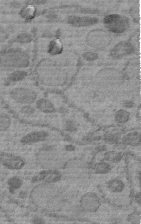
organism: C. elegans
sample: C. elegans embryo early stage